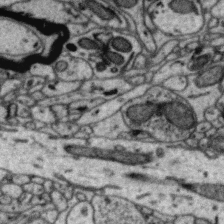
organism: Zebra finch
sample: Brain